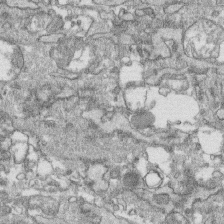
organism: Human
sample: CRL-1474